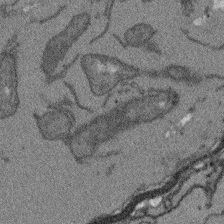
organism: Arabidopsis thaliana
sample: Root tip